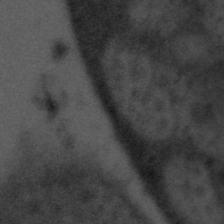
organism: Tuwongella immobilis